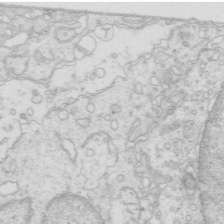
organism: Mouse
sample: Multiciliated cells